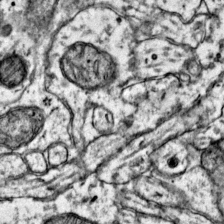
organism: Mouse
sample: Primary visual cortex